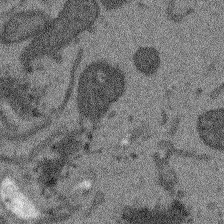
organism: Arabidopsis thaliana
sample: Root tip